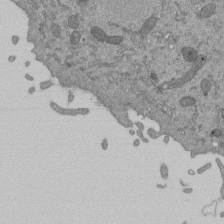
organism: Mouse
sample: ED-1 cell nuclei; centrioles